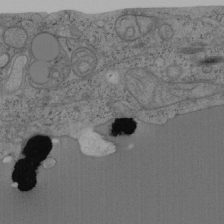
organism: Human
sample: HeLa cells